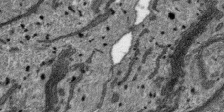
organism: Human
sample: Lung epithelial cells, uninfected (mock) control